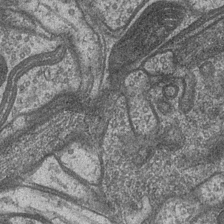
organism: Drosophila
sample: Optic medulla